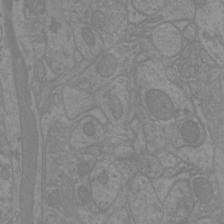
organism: Mouse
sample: Cortical neurons